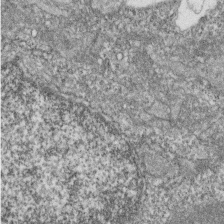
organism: Zebrafish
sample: Cilia; retinal pigment epithelium